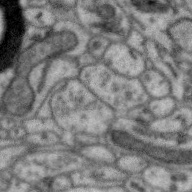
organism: Zebra finch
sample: Brain